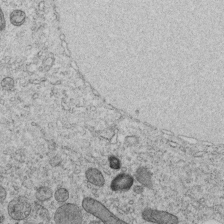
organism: C. elegans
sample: C. elegans embryo early stage